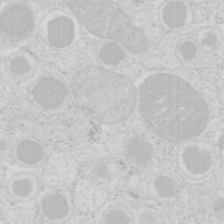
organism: Mouse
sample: Pancreas